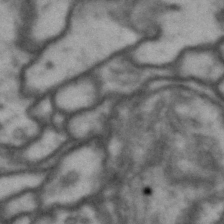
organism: Drosophila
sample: Brain